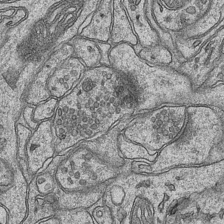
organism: Mouse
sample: CA1 Hippocampus